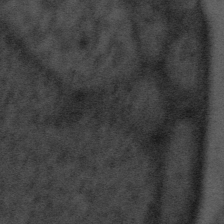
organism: Tuwongella immobilis